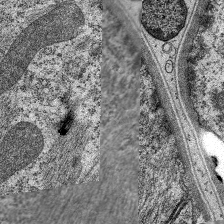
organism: C. elegans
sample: Pharynx